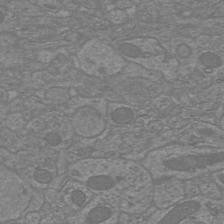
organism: Mouse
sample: Cortical neurons